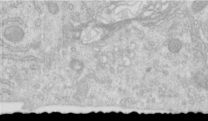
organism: Human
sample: Centriole in RPE cells